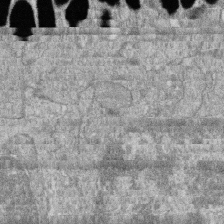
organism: Zebrafish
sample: Cilia; retinal pigment epithelium